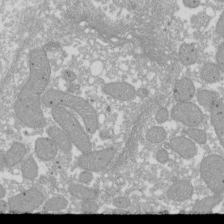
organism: Xenopus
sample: Cilia; centrioles in frog embryo cells